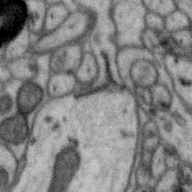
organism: Zebra finch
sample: Brain